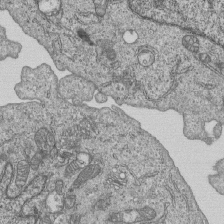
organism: Human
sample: MDA-MB-231 cells